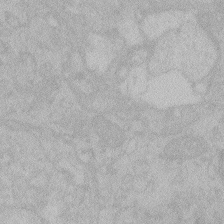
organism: Zebrafish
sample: Macrophage infected with Toxoplasma gondii